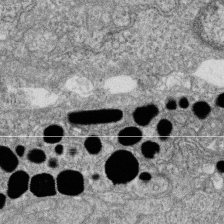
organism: Zebrafish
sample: Cilia; retinal pigment epithelium